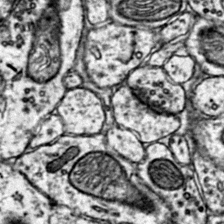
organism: Mouse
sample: Primary visual cortex